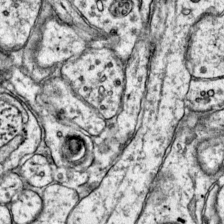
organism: Mouse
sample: Primary visual cortex